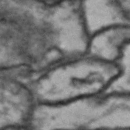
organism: Drosophila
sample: Brain